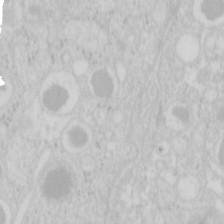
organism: Mouse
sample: Pancreas